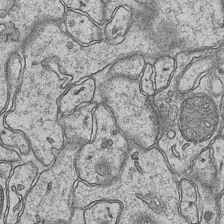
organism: Mouse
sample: CA1 Hippocampus